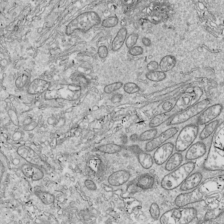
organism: Drosophila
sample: Cell division; meiosis; drosophila spermatocytes